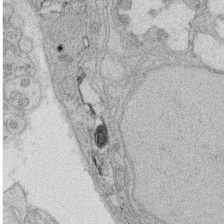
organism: Rat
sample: Salivary granule